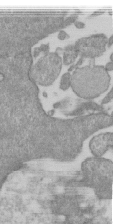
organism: Mouse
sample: ED-1 cell nuclei; centrioles